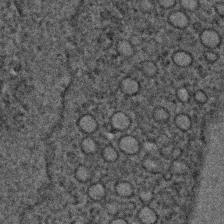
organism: C. elegans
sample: C. elegans embryo